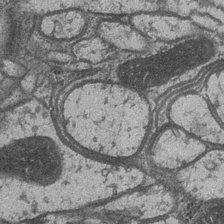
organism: Drosophila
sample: Optic medulla